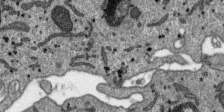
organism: Human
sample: Lung epithelial cells, uninfected (mock) control